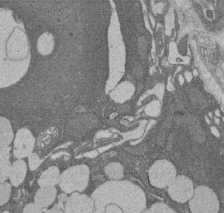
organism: Rat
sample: Salivary granule